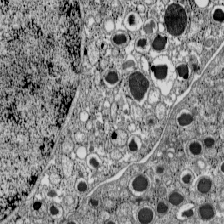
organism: C57BL Mouse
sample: Pancreatic islet